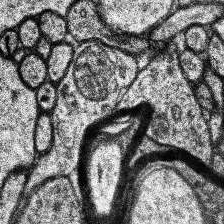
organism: Human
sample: Temporal Lobe